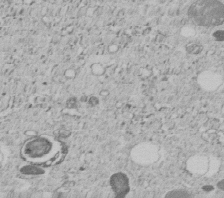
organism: C. elegans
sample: C. elegans embryo early stage